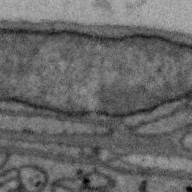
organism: Zebra finch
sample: Brain